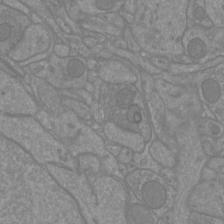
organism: Mouse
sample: Cortical neurons